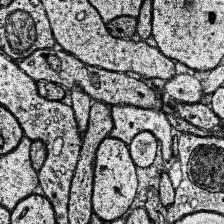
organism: Human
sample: Temporal Lobe